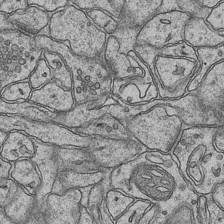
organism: Mouse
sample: CA1 Hippocampus